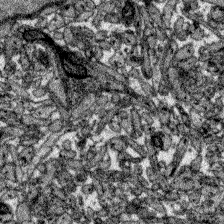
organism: Zebrafish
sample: Larval olfactory bulb